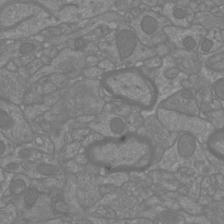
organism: Mouse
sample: Cortical neurons